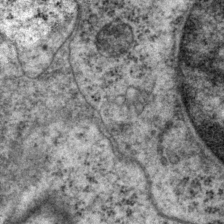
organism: P. pacificus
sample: Pharynx